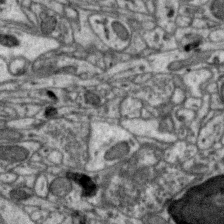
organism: Zebra finch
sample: Brain